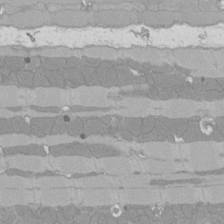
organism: Rat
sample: Left ventricle